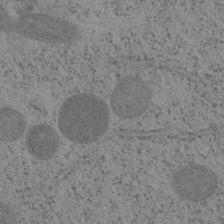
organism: Mouse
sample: OT-I killer T cells with ID8 ovarian cancer cells